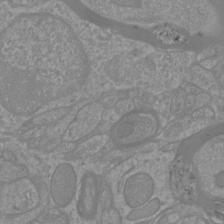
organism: Mouse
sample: Cortical neurons